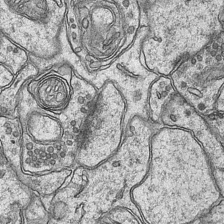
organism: Mouse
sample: CA1 Hippocampus